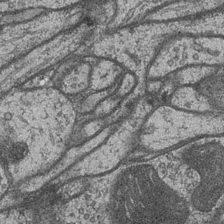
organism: Drosophila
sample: Optic medulla